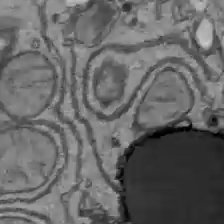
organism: C57BL Mouse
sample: Liver